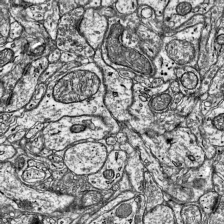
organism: Mouse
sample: Visual Cortex